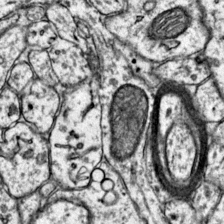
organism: Mouse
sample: Primary visual cortex